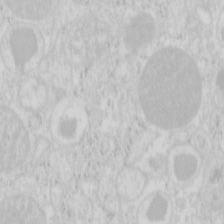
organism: Mouse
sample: Pancreas